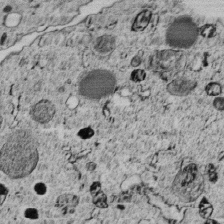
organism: C. elegans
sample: C. elegans embryo early stage